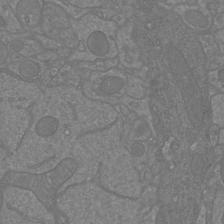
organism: Mouse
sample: Cortical neurons